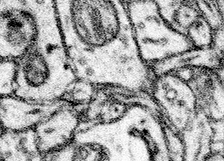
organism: Mouse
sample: Somatosensory cortex neuropil